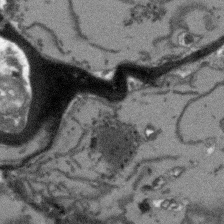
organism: Arabidopsis thaliana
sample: Root tip